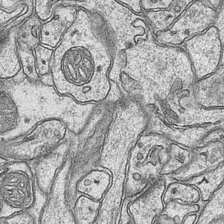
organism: Mouse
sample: CA1 Hippocampus